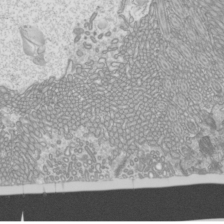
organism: Mouse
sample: Cilia; mouse epididymis